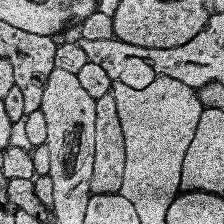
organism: Human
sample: Temporal Lobe